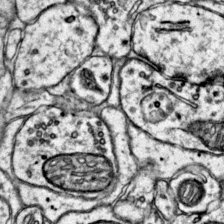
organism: Mouse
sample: Primary visual cortex